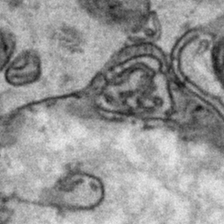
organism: Human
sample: Mitochondria in HCT116 cells